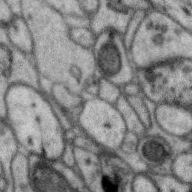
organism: Zebra finch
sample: Brain